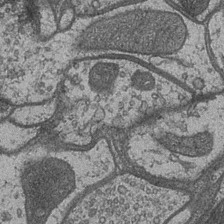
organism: Drosophila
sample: Optic medulla